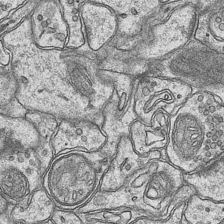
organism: Mouse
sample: CA1 Hippocampus